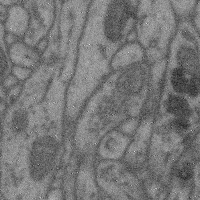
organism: Mouse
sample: Cerebral cortex